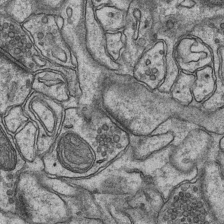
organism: Mouse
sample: CA1 Hippocampus